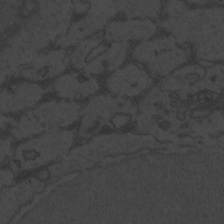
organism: Zebrafish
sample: Macrophage infected with Toxoplasma gondii